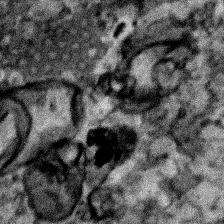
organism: Human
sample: Mitochondria in HCT116 cells